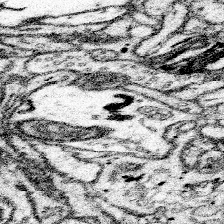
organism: Mouse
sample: Somatosensory cortex neuropil